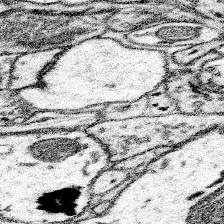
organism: Mouse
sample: Somatosensory cortex neuropil